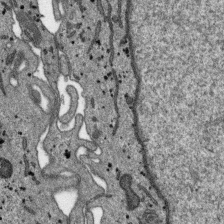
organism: Human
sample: Lung epithelial cells, uninfected (mock) control